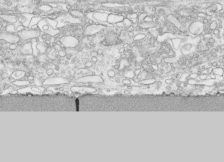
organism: Human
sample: CRL-1474